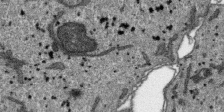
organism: Human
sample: Lung epithelial cells, uninfected (mock) control